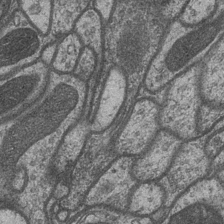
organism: Drosophila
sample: Optic medulla